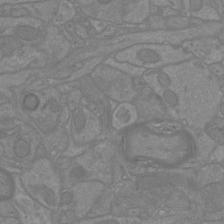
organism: Mouse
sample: Cortical neurons